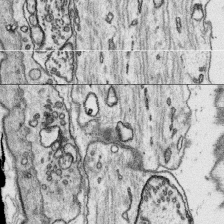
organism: Platynereis dumerilii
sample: Parapodia